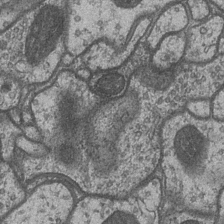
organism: Drosophila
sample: Optic medulla